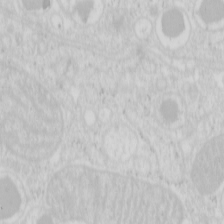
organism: Mouse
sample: Pancreas